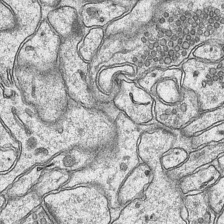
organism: Mouse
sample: CA1 Hippocampus